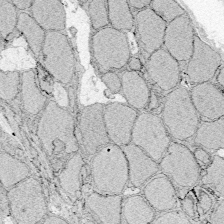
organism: Zebrafish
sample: Whole-Brain